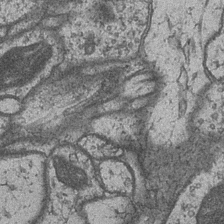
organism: Drosophila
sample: Optic medulla